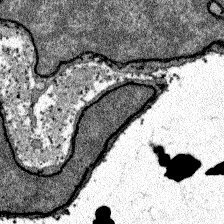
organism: Zebrafish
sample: Larval olfactory bulb